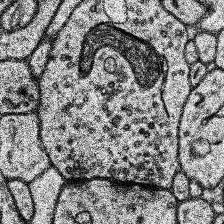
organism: Human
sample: Temporal Lobe